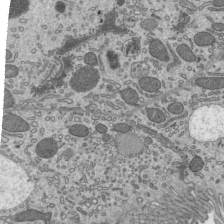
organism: Mouse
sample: Mouse epididymis efferent ductule cilia